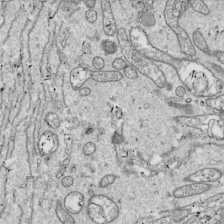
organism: Drosophila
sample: Cell division; meiosis; drosophila spermatocytes